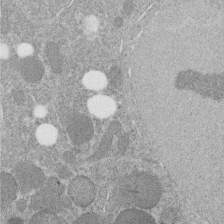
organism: C. elegans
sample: C. elegans embryo early stage